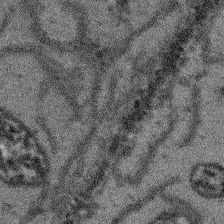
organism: Arabidopsis thaliana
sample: Root tip